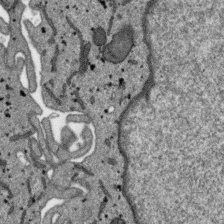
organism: Human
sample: Lung epithelial cells, uninfected (mock) control